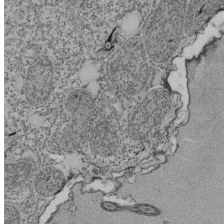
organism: Tetrahymena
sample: Cilia in tetrahymena